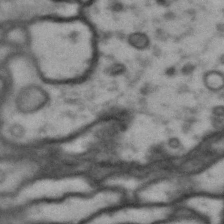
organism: Drosophila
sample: Brain